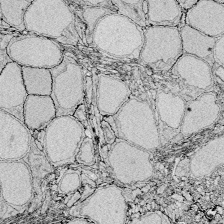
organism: Zebrafish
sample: Whole-Brain